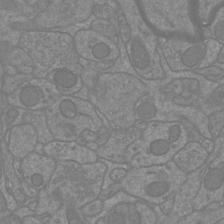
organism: Mouse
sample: Cortical neurons